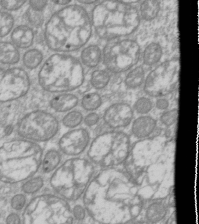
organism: Drosophila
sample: Cell division; meiosis; drosophila spermatocytes